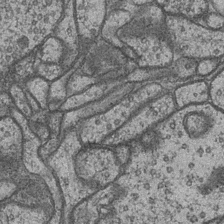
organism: Drosophila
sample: Optic medulla